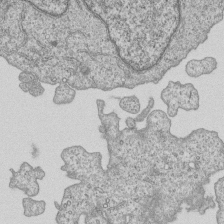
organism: Human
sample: MDA-MB-231 cells